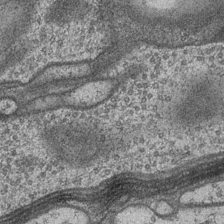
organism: Drosophila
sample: Optic medulla